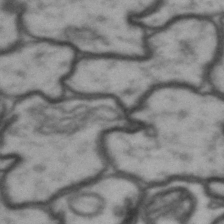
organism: Drosophila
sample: Brain